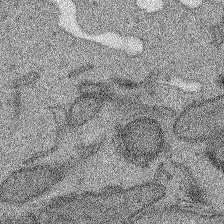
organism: Human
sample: HeLa cells